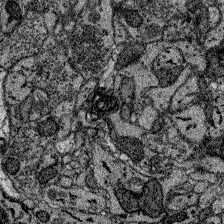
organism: Zebrafish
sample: Larval olfactory bulb